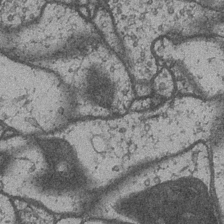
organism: Drosophila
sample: Optic medulla